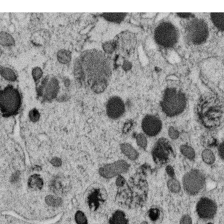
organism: C. elegans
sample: C. elegans oocyte; sperm cells